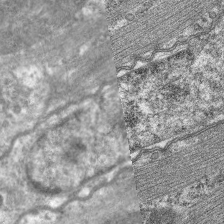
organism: C. elegans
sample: Pharynx